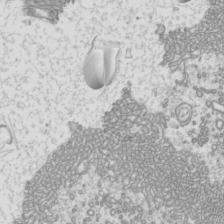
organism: Mouse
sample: Cilia; mouse epididymis